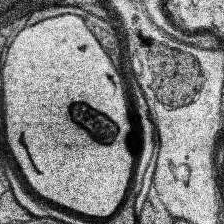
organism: Human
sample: Temporal Lobe